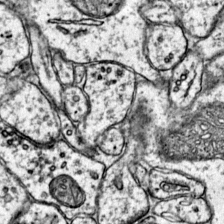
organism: Mouse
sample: Primary visual cortex